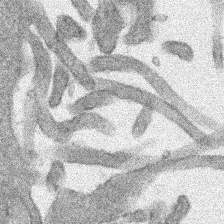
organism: Human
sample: Mitochondria in HCT116 cells